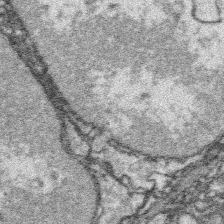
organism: Platynereis dumerilii